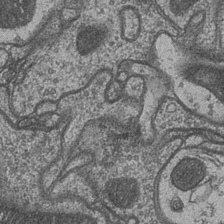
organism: Drosophila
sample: Optic medulla